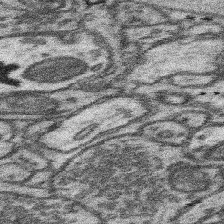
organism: Mouse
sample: Somatosensory cortex neuropil